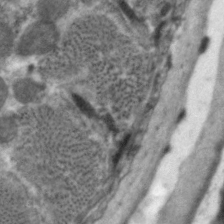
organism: C. elegans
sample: Pharynx